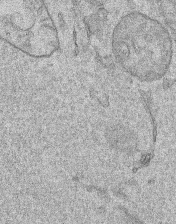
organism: Human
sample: Mitochondria in HCT116 cells